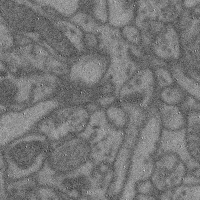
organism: Mouse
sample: Cerebral cortex